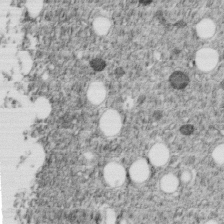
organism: C. elegans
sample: C. elegans embryo early stage